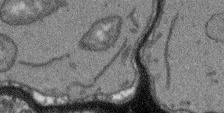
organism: Arabidopsis thaliana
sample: Root tip